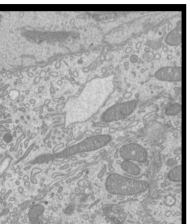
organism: Mouse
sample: Cilia; mouse epididymis